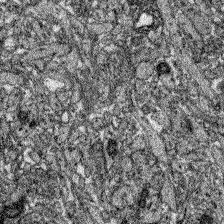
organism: Zebrafish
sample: Larval olfactory bulb